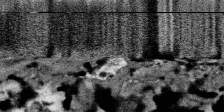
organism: Human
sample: Lung epithelial cells, uninfected (mock) control